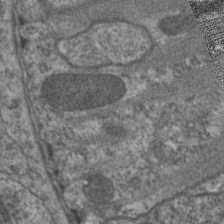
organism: C. elegans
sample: Pharynx